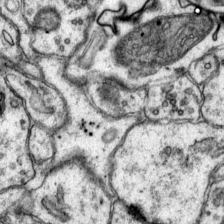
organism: Mouse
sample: Primary visual cortex